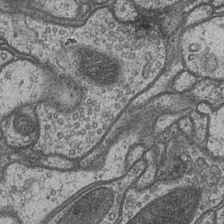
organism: Drosophila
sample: Optic medulla